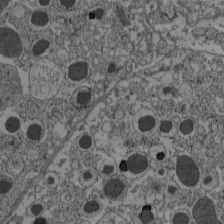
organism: C57BL Mouse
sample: Pancreatic islet